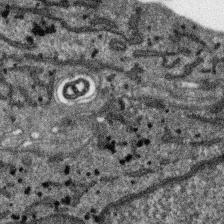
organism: Human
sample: Lung epithelial cells infected with SARS-CoV-2